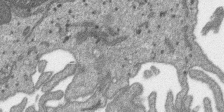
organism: Human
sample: Lung epithelial cells infected with SARS-CoV-2